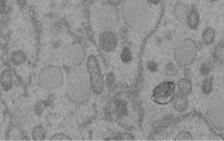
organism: C. elegans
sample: C. elegans embryo early stage